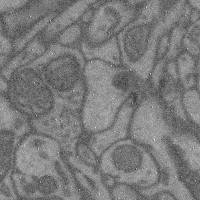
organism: Mouse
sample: Cerebral cortex